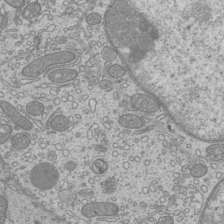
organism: Mouse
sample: Cilia; mouse epididymis